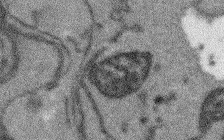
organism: Arabidopsis thaliana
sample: Root tip